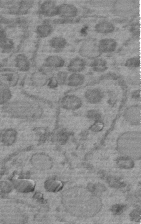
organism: C. elegans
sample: C. elegans embryo early stage